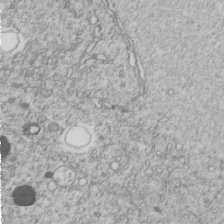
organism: C. elegans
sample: C. elegans embryo early stage